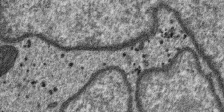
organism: Human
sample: Lung epithelial cells infected with SARS-CoV-2